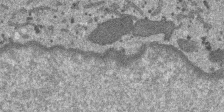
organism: Human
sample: Lung epithelial cells infected with SARS-CoV-2